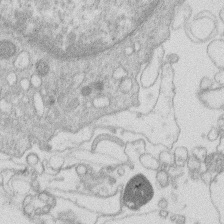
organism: Human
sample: Macrophage cells